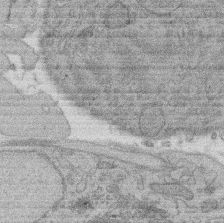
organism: Rat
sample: Salivary granule